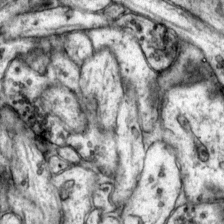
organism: Mouse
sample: Primary visual cortex